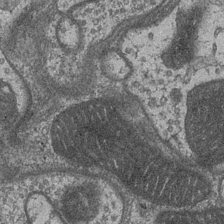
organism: Drosophila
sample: Optic medulla